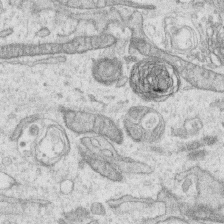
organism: Human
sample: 1205lu cells